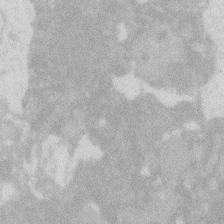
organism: Zebrafish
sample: Macrophage